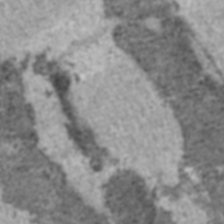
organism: C57BL Mouse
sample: Heart